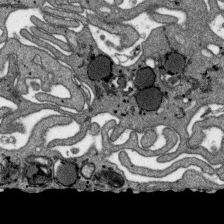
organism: Human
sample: Lung epithelial cells, uninfected (mock) control